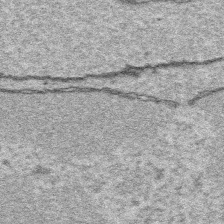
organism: Platynereis dumerilii